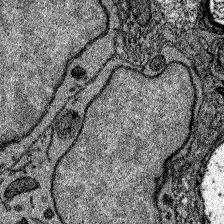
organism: Zebrafish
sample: Larval olfactory bulb